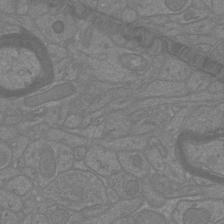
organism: Mouse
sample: Cortical neurons